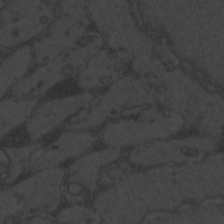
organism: Zebrafish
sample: Macrophage infected with Toxoplasma gondii